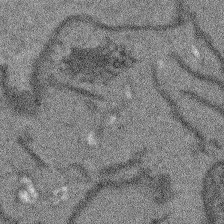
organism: Arabidopsis thaliana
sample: Root tip